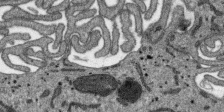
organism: Human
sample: Lung epithelial cells, uninfected (mock) control